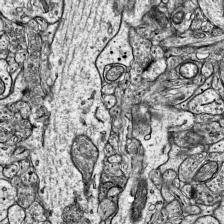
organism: Mouse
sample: Visual Cortex